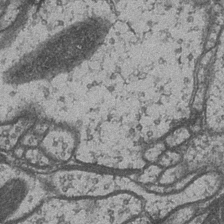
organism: Drosophila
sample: Optic medulla